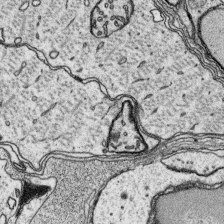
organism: Platynereis dumerilii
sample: Parapodia